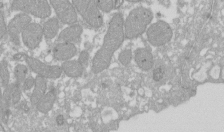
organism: Xenopus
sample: Cilia; centrioles in frog embryo cells